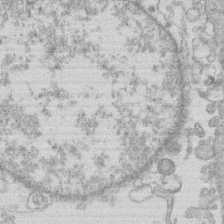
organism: Human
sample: Macrophage cells